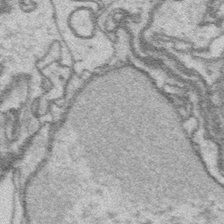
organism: Platynereis dumerilii